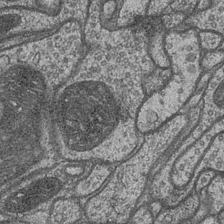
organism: Drosophila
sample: Optic medulla